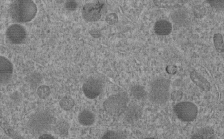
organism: C. elegans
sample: C. elegans embryo early stage